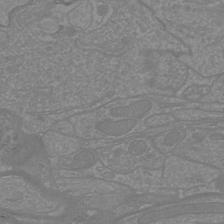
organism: Mouse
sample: Cortical neurons